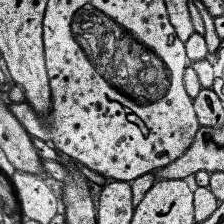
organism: Human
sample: Temporal Lobe